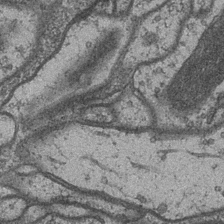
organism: Drosophila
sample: Optic medulla